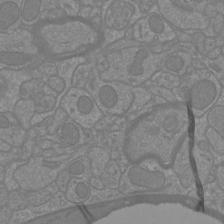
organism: Mouse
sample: Cortical neurons